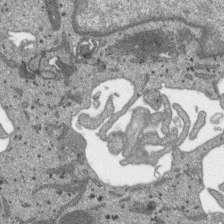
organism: Human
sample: Lung epithelial cells infected with SARS-CoV-2